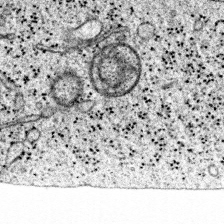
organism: Human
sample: HeLa cells